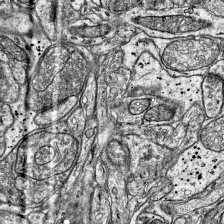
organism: Mouse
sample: Visual Cortex